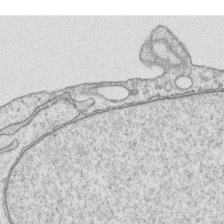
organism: Human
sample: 1205lu cells